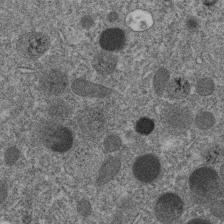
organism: C. elegans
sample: C. elegans embryo early stage